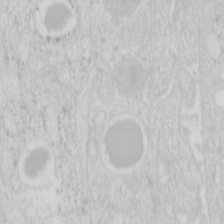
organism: Mouse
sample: Pancreas